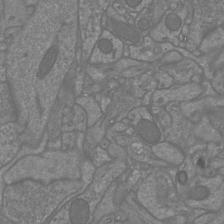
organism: Mouse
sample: Cortical neurons